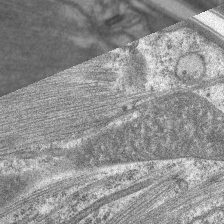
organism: C. elegans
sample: Pharynx